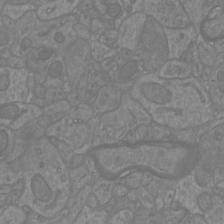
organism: Mouse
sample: Cortical neurons